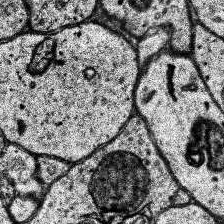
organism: Human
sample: Temporal Lobe